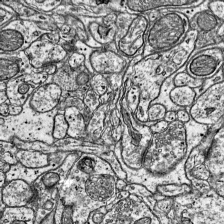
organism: Mouse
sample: Visual Cortex